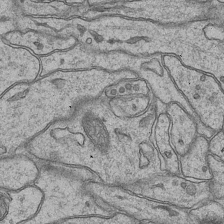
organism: Mouse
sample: CA1 Hippocampus